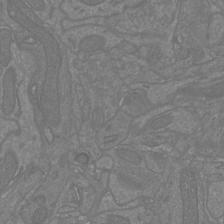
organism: Mouse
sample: Cortical neurons